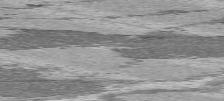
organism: C57BL Mouse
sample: Heart